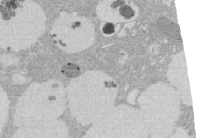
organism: Rat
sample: Salivary granule